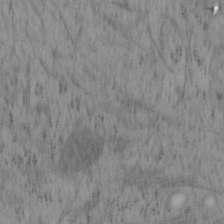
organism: Mouse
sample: OT-I killer T cells with ID8 ovarian cancer cells